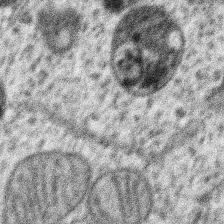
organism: Human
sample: HeLa cells